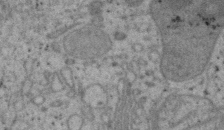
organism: Human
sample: HeLa cells